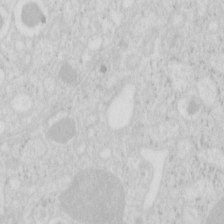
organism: Mouse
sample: Pancreas